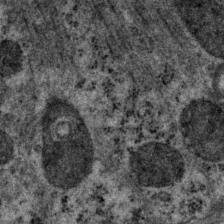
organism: P. pacificus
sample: Pharynx